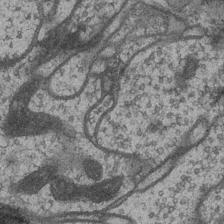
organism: Drosophila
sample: Optic medulla